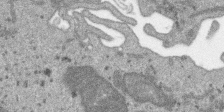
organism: Human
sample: Lung epithelial cells infected with SARS-CoV-2